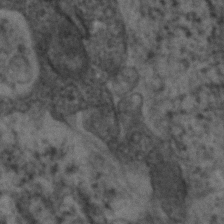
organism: Human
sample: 1205lu cells